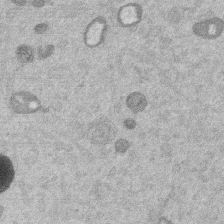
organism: Mouse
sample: Dividing mouse embryo 1 cell stage